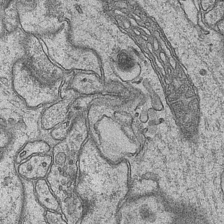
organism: Mouse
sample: CA1 Hippocampus